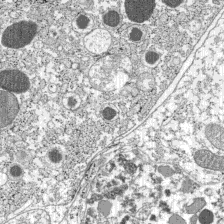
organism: C57BL Mouse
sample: Pancreatic islet